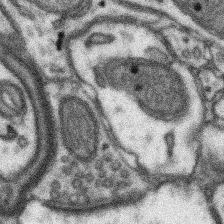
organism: Mouse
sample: Somatosensory cortex neuropil